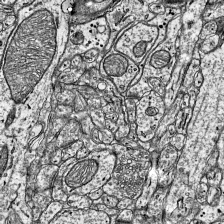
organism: Mouse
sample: Visual Cortex